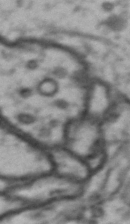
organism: Drosophila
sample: Brain